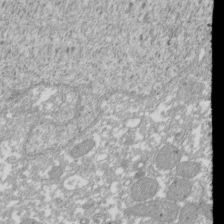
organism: Xenopus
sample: Cilia; centrioles in frog embryo cells